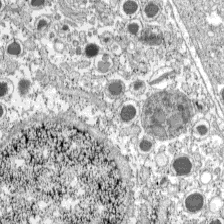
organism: C57BL Mouse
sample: Pancreatic islet